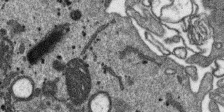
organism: Human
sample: Lung epithelial cells infected with SARS-CoV-2